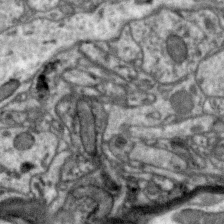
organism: Zebra finch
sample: Brain